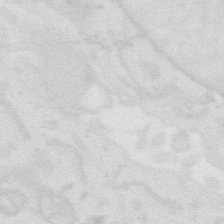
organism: Human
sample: HeLa cells